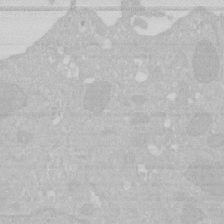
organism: Human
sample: HIV infected U937 cells